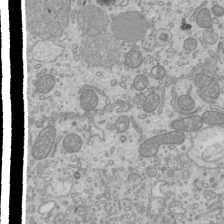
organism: Mouse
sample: Cilia; mouse epididymis